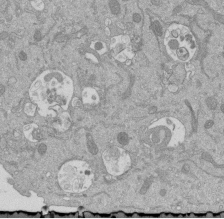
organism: Mouse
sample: ED-1 cell nuclei; centrioles